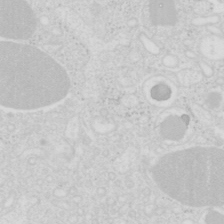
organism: Mouse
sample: Pancreas